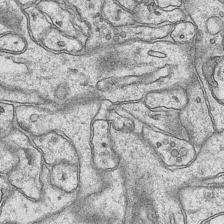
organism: Mouse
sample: CA1 Hippocampus